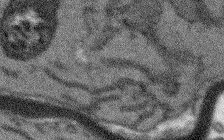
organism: Arabidopsis thaliana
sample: Root tip